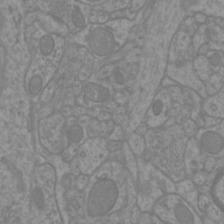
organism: Mouse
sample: Cortical neurons